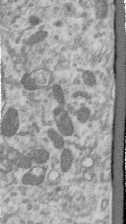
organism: Human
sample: Centriole in RPE cells